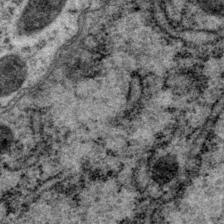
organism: P. pacificus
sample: Pharynx